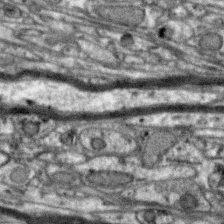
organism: Zebra finch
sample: Brain